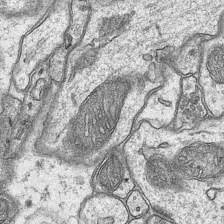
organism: Mouse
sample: CA1 Hippocampus